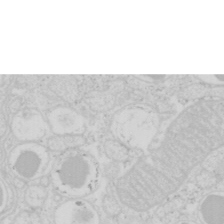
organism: Mouse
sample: Pancreas